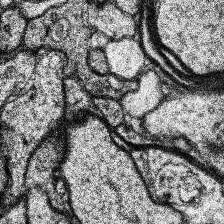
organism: Human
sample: Temporal Lobe